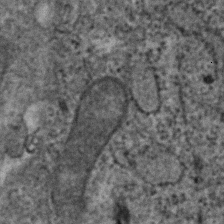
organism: Human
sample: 1205lu cells